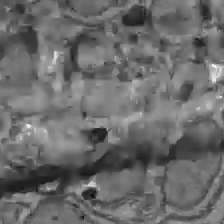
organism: C57BL Mouse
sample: Liver